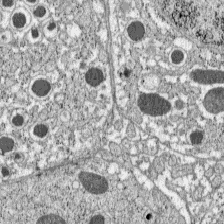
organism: C57BL Mouse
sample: Pancreatic islet